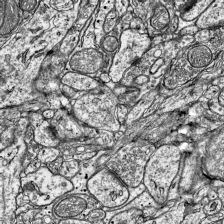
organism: Mouse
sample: Visual Cortex